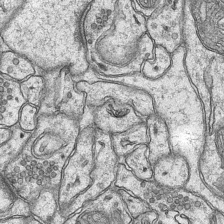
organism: Mouse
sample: CA1 Hippocampus